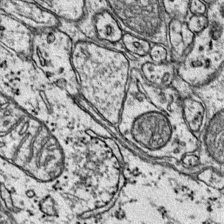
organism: Mouse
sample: Primary visual cortex